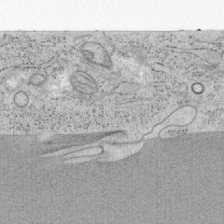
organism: Human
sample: HeLa cells